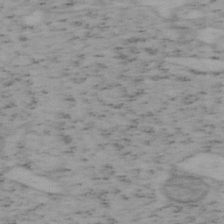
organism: Mouse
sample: OT-I killer T cells with ID8 ovarian cancer cells